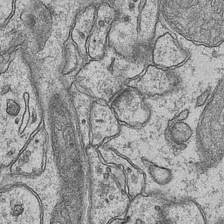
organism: Mouse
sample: CA1 Hippocampus